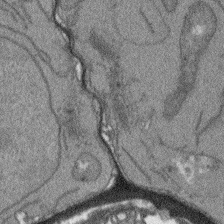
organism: Arabidopsis thaliana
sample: Root tip